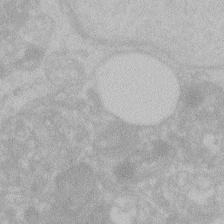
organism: Zebrafish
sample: Macrophage infected with Toxoplasma gondii